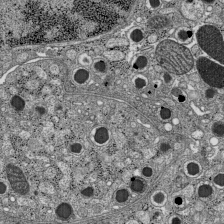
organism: C57BL Mouse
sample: Pancreatic islet